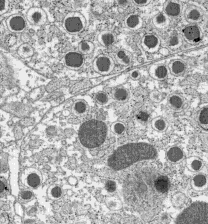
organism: C57BL Mouse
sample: Pancreatic islet